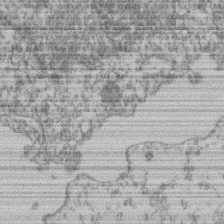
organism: Mouse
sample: T cell stromal cell synapse